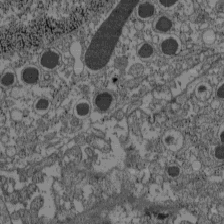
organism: C57BL Mouse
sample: Pancreatic islet